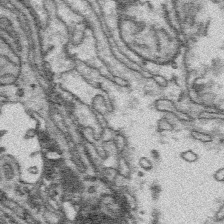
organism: Platynereis dumerilii